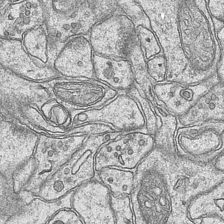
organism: Mouse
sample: CA1 Hippocampus